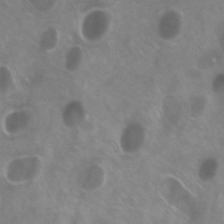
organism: Zebrafish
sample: Zebrafish embryo